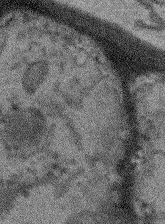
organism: Arabidopsis thaliana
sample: Root tip